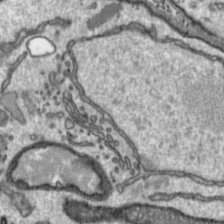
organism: Toxoplasma gondii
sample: Parasites in a vacuole inside a host cell